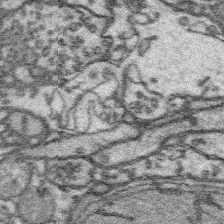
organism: Platynereis dumerilii